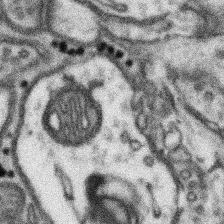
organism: Mouse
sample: Somatosensory cortex neuropil